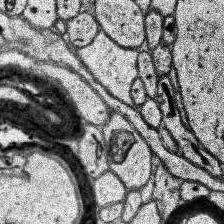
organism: Human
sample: Temporal Lobe